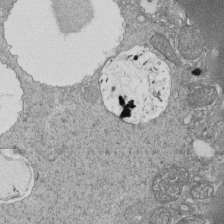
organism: Tetrahymena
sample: Cilia in tetrahymena